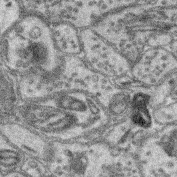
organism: Mouse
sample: Retina